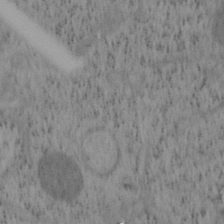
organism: Mouse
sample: OT-I killer T cells with ID8 ovarian cancer cells